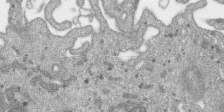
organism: Human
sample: Lung epithelial cells infected with SARS-CoV-2